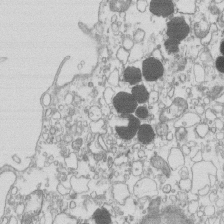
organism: Mouse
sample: Macrophages